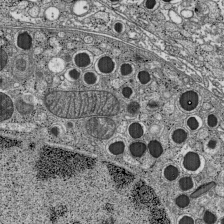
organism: C57BL Mouse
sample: Pancreatic islet